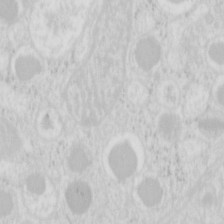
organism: Mouse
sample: Pancreas